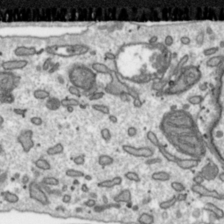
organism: Toxoplasma gondii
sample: Parasites in a vacuole inside a host cell